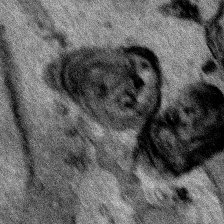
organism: Human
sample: Mitochondria in HCT116 cells